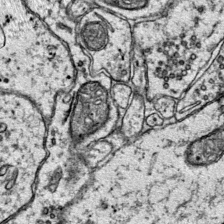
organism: Mouse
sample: Primary visual cortex